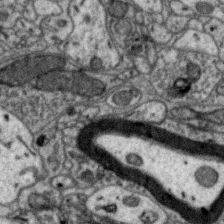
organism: Zebra finch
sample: Brain